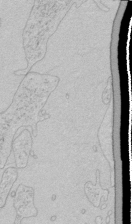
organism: Human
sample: Mitochondria in HCT116 cells